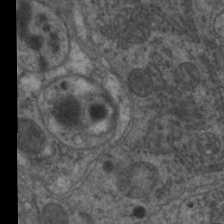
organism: C. elegans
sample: Pharynx